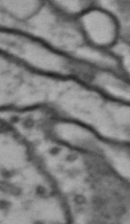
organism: Drosophila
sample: Brain